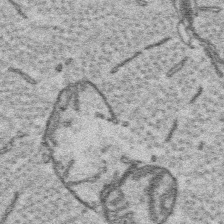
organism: Platynereis dumerilii